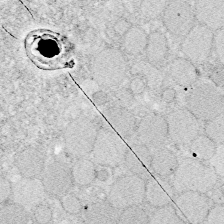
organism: Zebrafish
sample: Whole-Brain